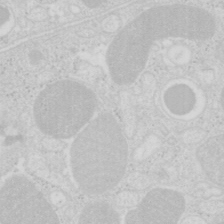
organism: Mouse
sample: Pancreas